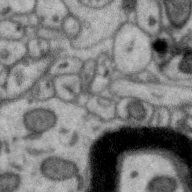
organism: Zebra finch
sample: Brain